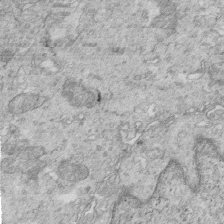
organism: Mouse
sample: Multiciliated cells